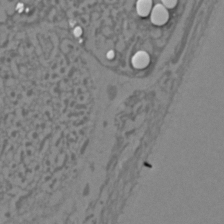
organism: C. elegans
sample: C. elegans embryo